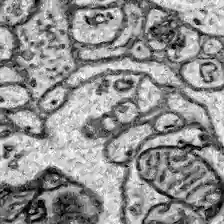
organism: Zebrafish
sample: Brain